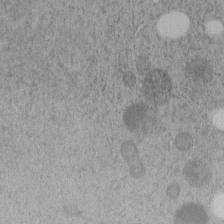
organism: C. elegans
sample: C. elegans embryo early stage